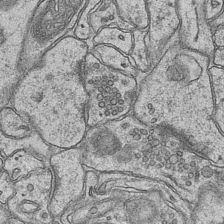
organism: Mouse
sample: CA1 Hippocampus